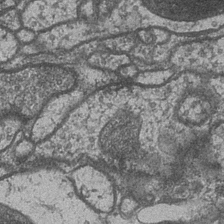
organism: Drosophila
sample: Optic medulla